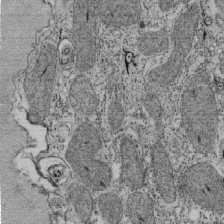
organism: Tetrahymena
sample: Cilia in tetrahymena